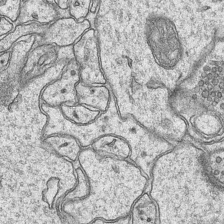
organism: Mouse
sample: CA1 Hippocampus